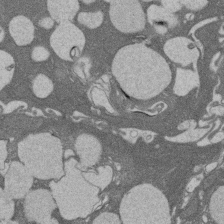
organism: Rat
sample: Salivary granule